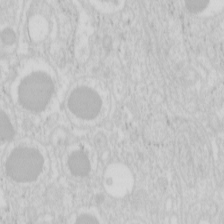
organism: Mouse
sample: Pancreas